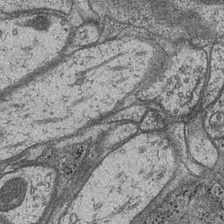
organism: Drosophila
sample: Optic medulla